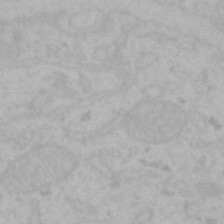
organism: Mouse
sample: Choroid plexus